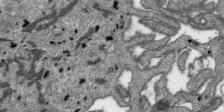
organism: Human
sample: Lung epithelial cells, uninfected (mock) control